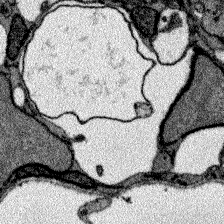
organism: Zebrafish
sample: Larval olfactory bulb